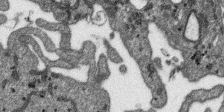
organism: Human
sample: Lung epithelial cells infected with SARS-CoV-2